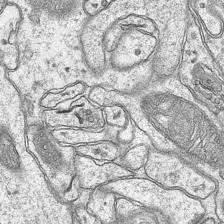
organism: Mouse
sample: CA1 Hippocampus